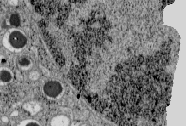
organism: C57BL Mouse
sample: Pancreatic islet